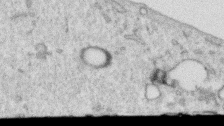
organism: Human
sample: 1205lu cells